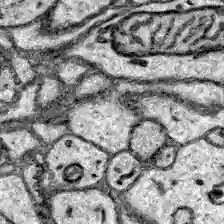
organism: Zebrafish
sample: Brain